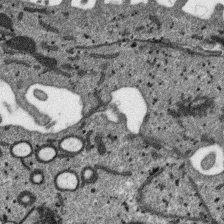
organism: Human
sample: Lung epithelial cells infected with SARS-CoV-2